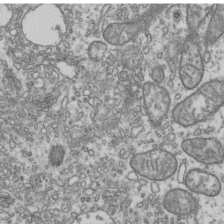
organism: Human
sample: Activated Jurkat CD4+ T cells